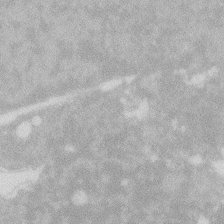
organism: Zebrafish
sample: Macrophage